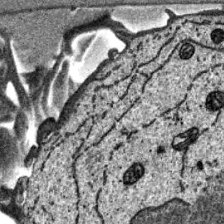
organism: Human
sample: HeLa cells